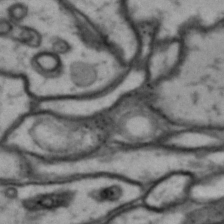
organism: Drosophila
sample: Brain